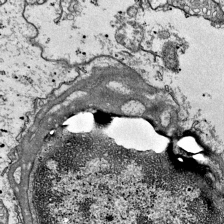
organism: Mouse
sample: Visual Cortex